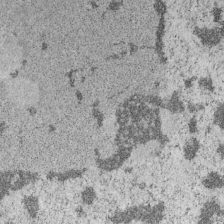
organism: Mouse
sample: OT-I killer T cells with ID8 ovarian cancer cells